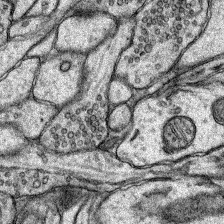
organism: Rat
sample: Hippocampus